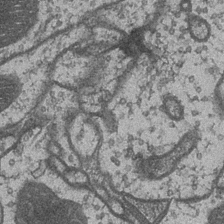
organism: Drosophila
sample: Optic medulla